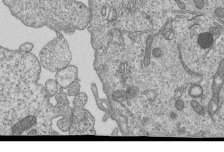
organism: Human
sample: MDA-MB-231 cells